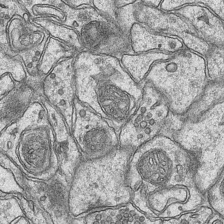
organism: Mouse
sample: CA1 Hippocampus